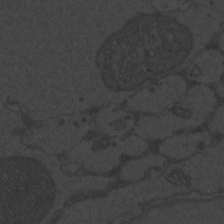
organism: Zebrafish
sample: Macrophage infected with Toxoplasma gondii